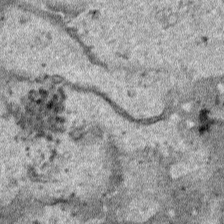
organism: Human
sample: Mitochondria in HCT116 cells